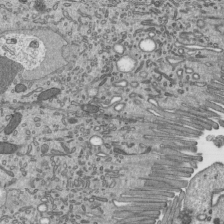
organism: Mouse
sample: Mouse epididymis efferent ductule cilia